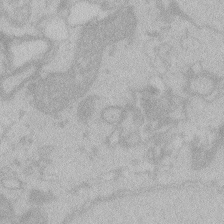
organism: Zebrafish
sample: Macrophage infected with Toxoplasma gondii